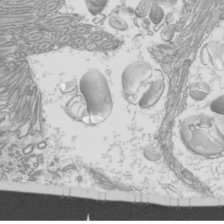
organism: Mouse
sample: Cilia; mouse epididymis